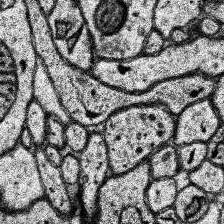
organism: Human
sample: Temporal Lobe